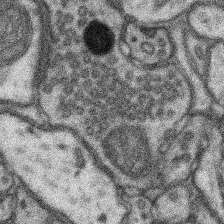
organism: Mouse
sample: Somatosensory cortex neuropil